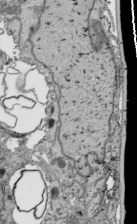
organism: Human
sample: Mitochondria in HCT116 cells